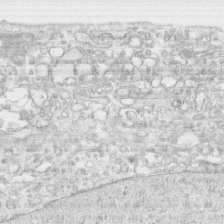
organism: Human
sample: CRL-1474